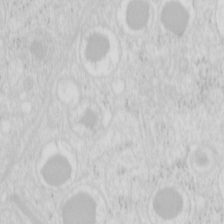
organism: Mouse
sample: Pancreas